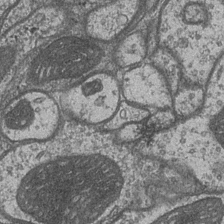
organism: Drosophila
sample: Optic medulla